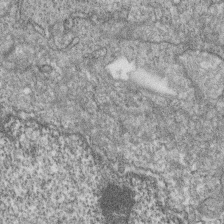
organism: Zebrafish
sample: Cilia; retinal pigment epithelium